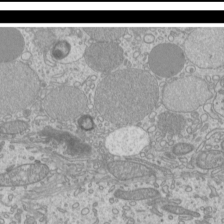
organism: Mouse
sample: Cilia; mouse epididymis